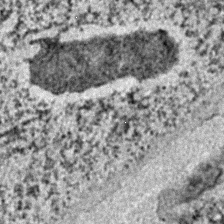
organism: C. elegans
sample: C. elegans embryo